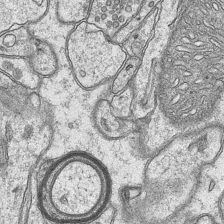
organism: Mouse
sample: CA1 Hippocampus